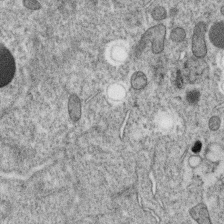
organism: C. elegans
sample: C. elegans oocyte; sperm cells